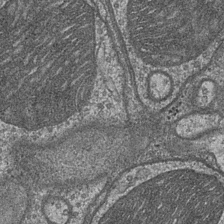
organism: Drosophila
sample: Optic medulla